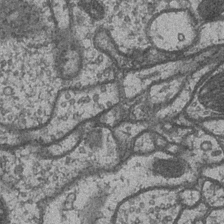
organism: Drosophila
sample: Optic medulla